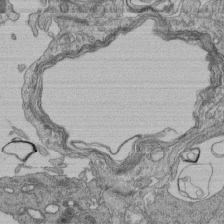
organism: Human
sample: Retinal organoid Rod and Cone cells